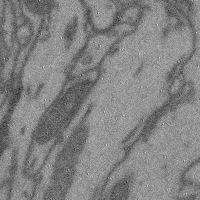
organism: Mouse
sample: Cerebral cortex